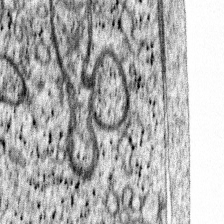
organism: Human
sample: HeLa cells